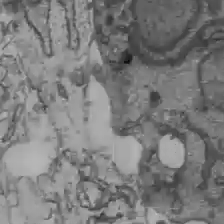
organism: C57BL Mouse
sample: Liver